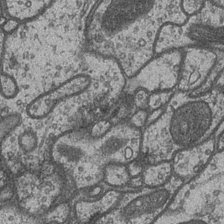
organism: Drosophila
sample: Optic medulla